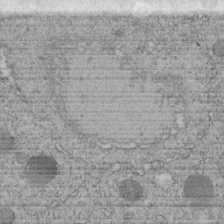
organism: C. elegans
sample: C. elegans embryo early stage